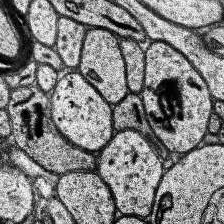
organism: Human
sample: Temporal Lobe